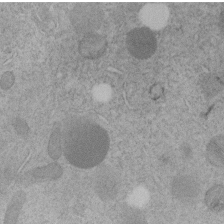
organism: C. elegans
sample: C. elegans embryo early stage